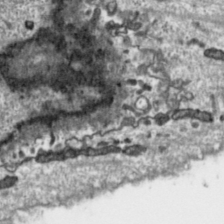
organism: Toxoplasma gondii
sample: Parasites in a vacuole inside a host cell